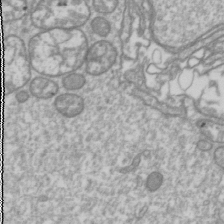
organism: Drosophila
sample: Cell division; meiosis; drosophila spermatocytes